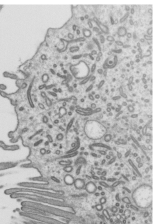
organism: Mouse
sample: Mouse epididymis efferent ductule cilia